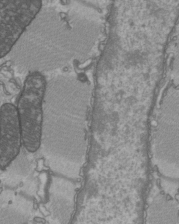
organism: C57BL Mouse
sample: Heart